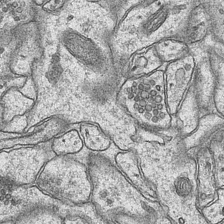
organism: Mouse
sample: CA1 Hippocampus